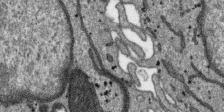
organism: Human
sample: Lung epithelial cells, uninfected (mock) control